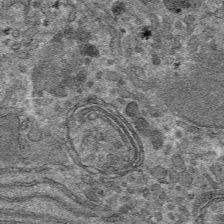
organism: Mouse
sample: Mouse hepatocytes